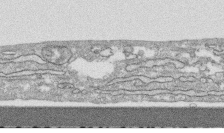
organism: Human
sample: CRL-1474